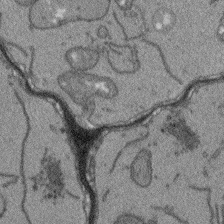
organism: Arabidopsis thaliana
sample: Root tip